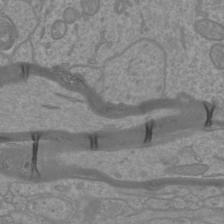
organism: Mouse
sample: Cortical neurons